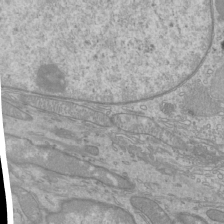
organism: Mouse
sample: Cilia; mouse epididymis